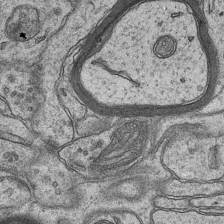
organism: Mouse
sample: CA1 Hippocampus